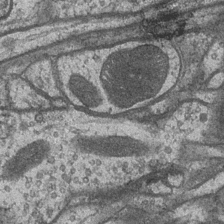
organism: Drosophila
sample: Optic medulla